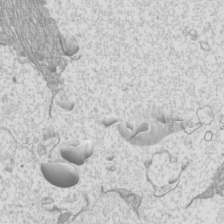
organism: Mouse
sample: Cilia; mouse epididymis